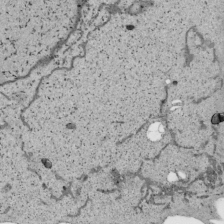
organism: Human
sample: Mitochondria in HCT116 cells